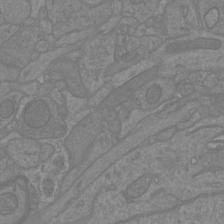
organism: Mouse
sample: Cortical neurons